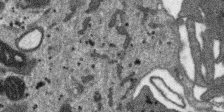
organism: Human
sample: Lung epithelial cells infected with SARS-CoV-2